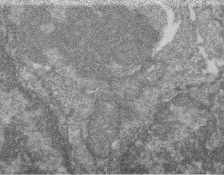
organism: Zebrafish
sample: Cilia; retinal pigment epithelium